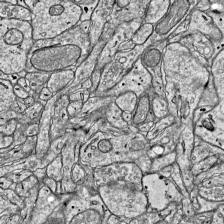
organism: Mouse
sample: Visual Cortex